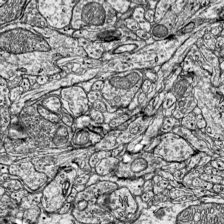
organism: Mouse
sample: Visual Cortex